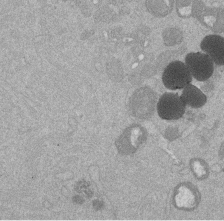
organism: Mouse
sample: Dividing mouse embryo 1 cell stage